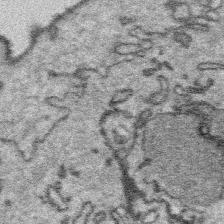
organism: Platynereis dumerilii